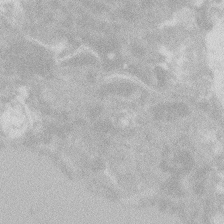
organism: Zebrafish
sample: Macrophage